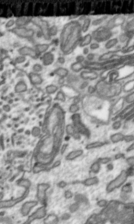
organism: Toxoplasma gondii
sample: Parasites in a vacuole inside a host cell